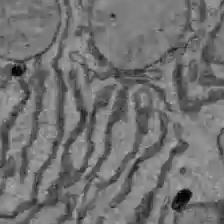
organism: C57BL Mouse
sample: Liver